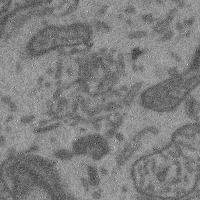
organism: Mouse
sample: Cerebral cortex